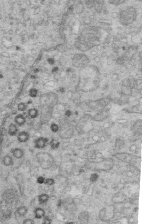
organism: Mouse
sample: Multiciliated cells